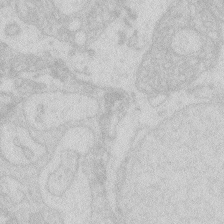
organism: Zebrafish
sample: Macrophage